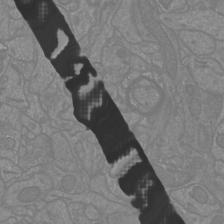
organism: Mouse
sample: Cortical neurons